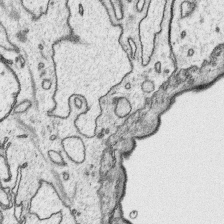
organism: Platynereis dumerilii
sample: Parapodia